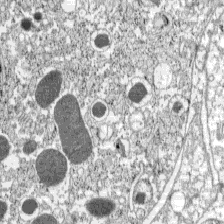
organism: C57BL Mouse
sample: Pancreatic islet